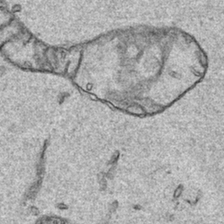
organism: Human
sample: Mitochondria in HCT116 cells